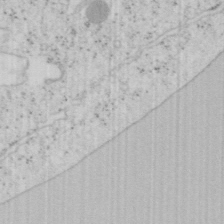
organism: Human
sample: HeLa cells